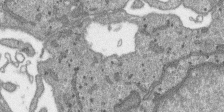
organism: Human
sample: Lung epithelial cells infected with SARS-CoV-2